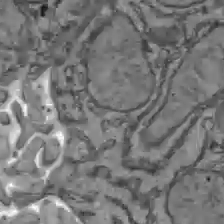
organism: C57BL Mouse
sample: Liver